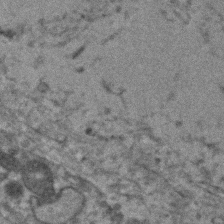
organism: Human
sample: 1205lu cells